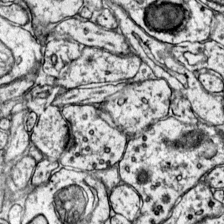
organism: Mouse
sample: Primary visual cortex